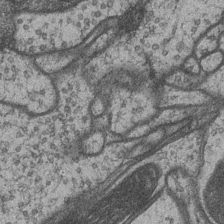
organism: Drosophila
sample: Optic medulla